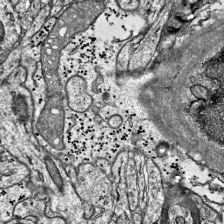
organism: Mouse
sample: Visual Cortex